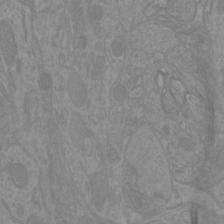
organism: Mouse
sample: Cortical neurons